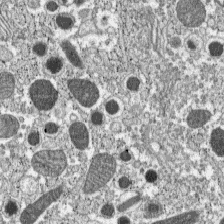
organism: C57BL Mouse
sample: Pancreatic islet